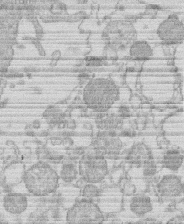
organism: Human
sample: Macrophage cells